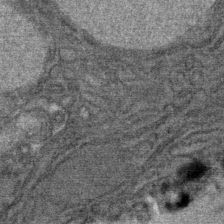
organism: Mouse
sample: Mouse Salivary gland